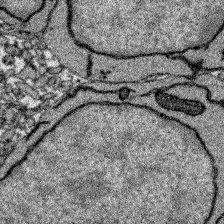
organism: Zebrafish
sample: Larval olfactory bulb